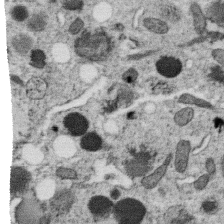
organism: C. elegans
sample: C. elegans oocyte; sperm cells